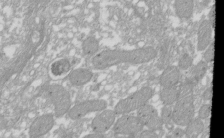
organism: Xenopus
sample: Cilia; centrioles in frog embryo cells